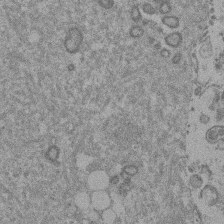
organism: Mouse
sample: Dividing mouse embryo 1 cell stage